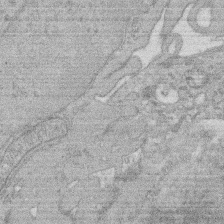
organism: Rat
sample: Salivary granule